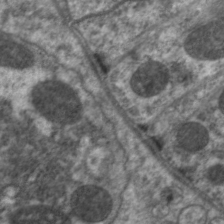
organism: C. elegans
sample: Pharynx